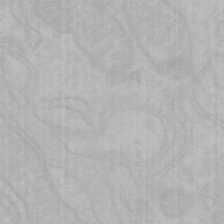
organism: Mouse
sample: Choroid plexus